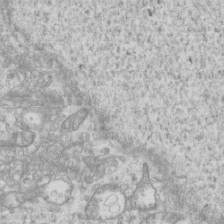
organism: Mouse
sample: Centriole in ependymal cells